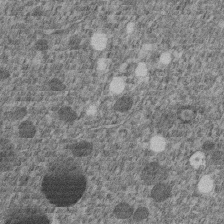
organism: C. elegans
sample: C. elegans embryo early stage